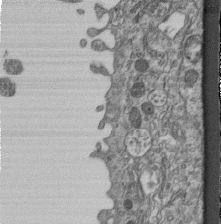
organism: Mouse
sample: Centriole in ependymal cells